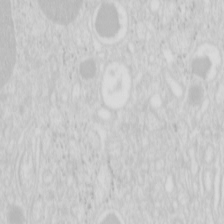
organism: Mouse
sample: Pancreas